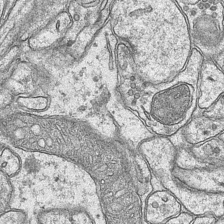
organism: Mouse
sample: CA1 Hippocampus